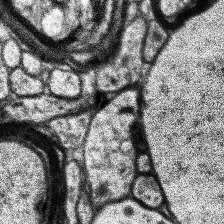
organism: Human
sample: Temporal Lobe